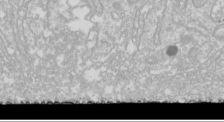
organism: Drosophila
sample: Cell division; meiosis; drosophila spermatocytes